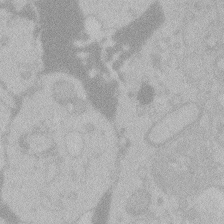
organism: Zebrafish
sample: Macrophage infected with Toxoplasma gondii